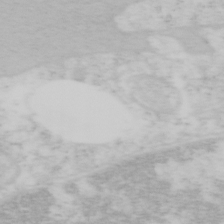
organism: Mouse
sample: OT-I killer T cells with ID8 ovarian cancer cells